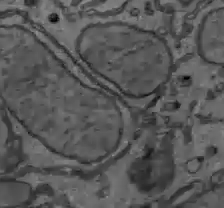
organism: C57BL Mouse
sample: Liver